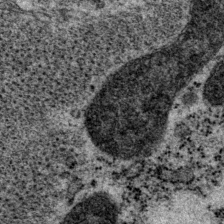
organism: P. pacificus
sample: Pharynx